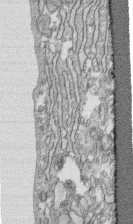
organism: Human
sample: CRL-1474